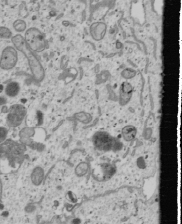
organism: Human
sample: Mitochondria in U2OS cells